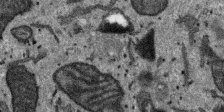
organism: Human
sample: Lung epithelial cells, uninfected (mock) control